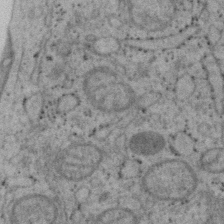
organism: Human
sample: HeLa cells